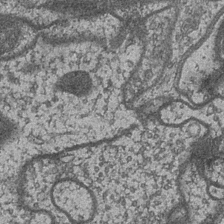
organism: Drosophila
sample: Optic medulla